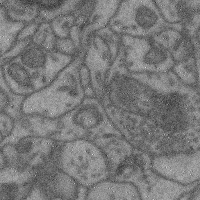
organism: Mouse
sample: Cerebral cortex